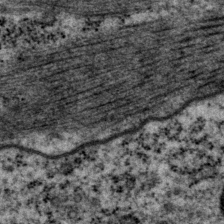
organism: P. pacificus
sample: Pharynx